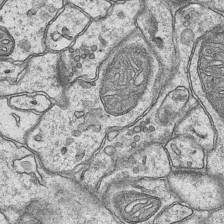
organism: Mouse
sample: CA1 Hippocampus